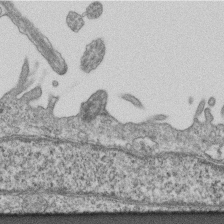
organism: Mouse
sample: Centriole in ependymal cells